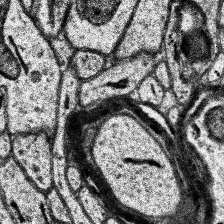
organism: Human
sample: Temporal Lobe